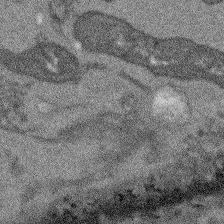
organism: Arabidopsis thaliana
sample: Root tip